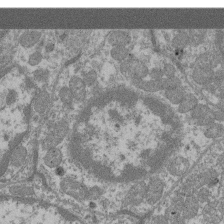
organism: Mouse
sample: Glomerulus